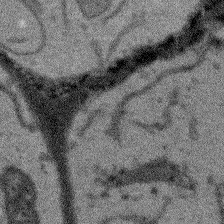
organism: Arabidopsis thaliana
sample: Root tip